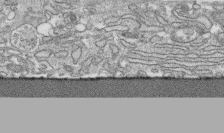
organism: Human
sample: CRL-1474